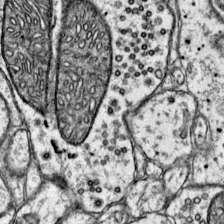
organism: Mouse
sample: Primary visual cortex